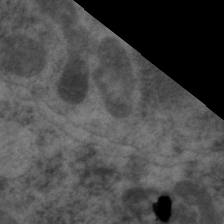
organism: C. elegans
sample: Pharynx